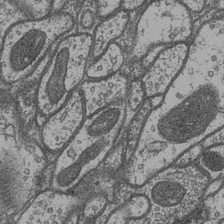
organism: Drosophila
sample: Optic medulla